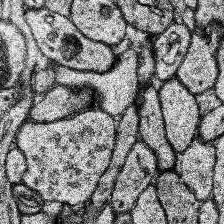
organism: Human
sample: Temporal Lobe